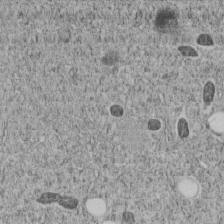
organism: C. elegans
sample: C. elegans embryo early stage